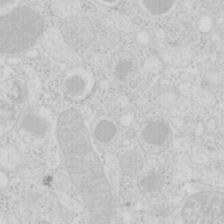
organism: Mouse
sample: Pancreas